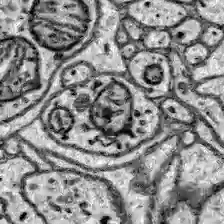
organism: Zebrafish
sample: Brain